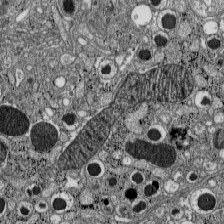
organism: C57BL Mouse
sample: Pancreatic islet